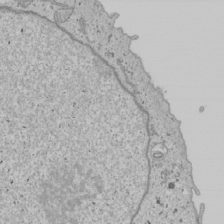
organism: Human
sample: Mitochondria in U2OS cells